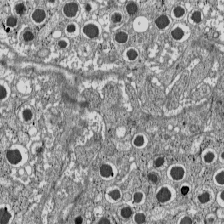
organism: C57BL Mouse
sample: Pancreatic islet